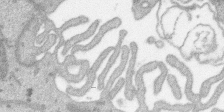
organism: Human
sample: Lung epithelial cells infected with SARS-CoV-2